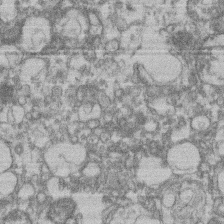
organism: Mouse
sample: T cell stromal cell synapse